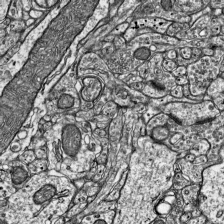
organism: Mouse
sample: Visual Cortex